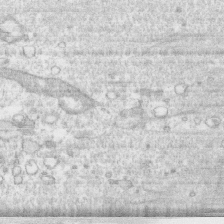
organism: Human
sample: CRL-1474